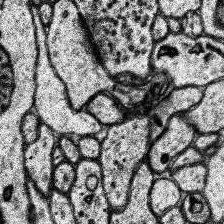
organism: Human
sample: Temporal Lobe